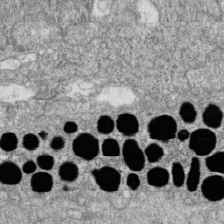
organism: Zebrafish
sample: Cilia; retinal pigment epithelium